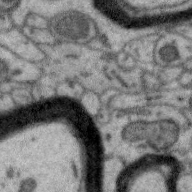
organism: Zebra finch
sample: Brain